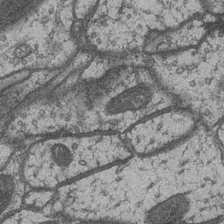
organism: Drosophila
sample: Optic medulla